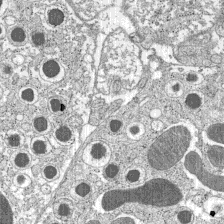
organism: C57BL Mouse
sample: Pancreatic islet